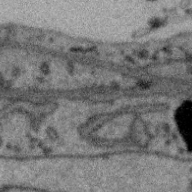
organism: Zebra finch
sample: Brain